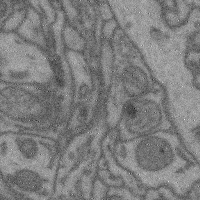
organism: Mouse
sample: Cerebral cortex